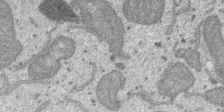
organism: Human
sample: Lung epithelial cells infected with SARS-CoV-2